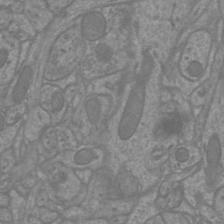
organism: Mouse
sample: Cortical neurons